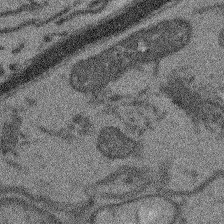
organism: Arabidopsis thaliana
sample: Root tip